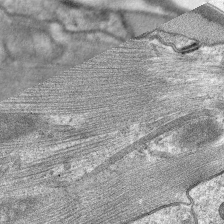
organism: C. elegans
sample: Pharynx